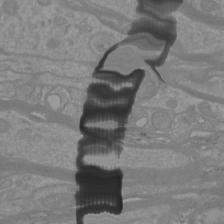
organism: Mouse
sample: Cortical neurons